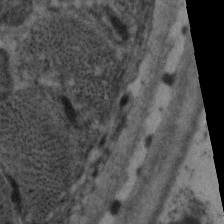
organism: C. elegans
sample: Pharynx